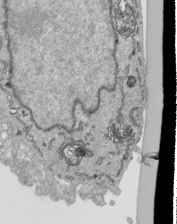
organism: Human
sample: Mitochondria in HCT116 cells